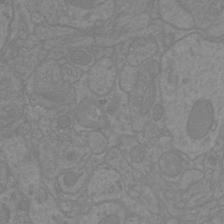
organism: Mouse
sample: Cortical neurons